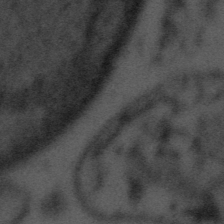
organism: Tuwongella immobilis